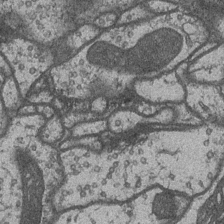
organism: Drosophila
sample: Optic medulla